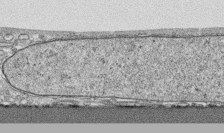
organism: Human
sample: CRL-1474